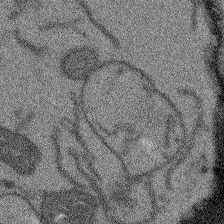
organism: Arabidopsis thaliana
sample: Root tip